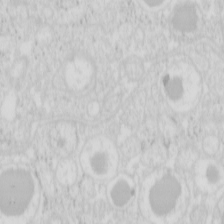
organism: Mouse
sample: Pancreas